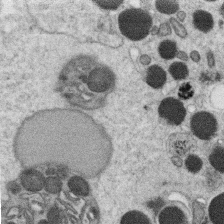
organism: C. elegans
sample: C. elegans oocyte; sperm cells